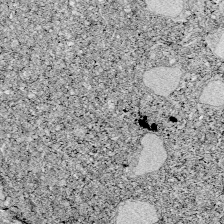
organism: Zebrafish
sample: Whole-Brain